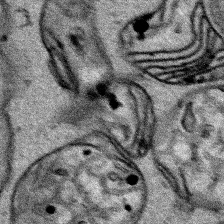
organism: Human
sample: Mitochondria in HCT116 cells